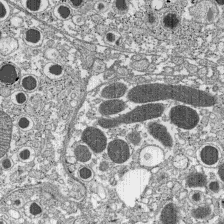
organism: C57BL Mouse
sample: Pancreatic islet